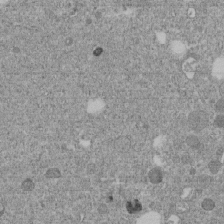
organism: C. elegans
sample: C. elegans embryo early stage